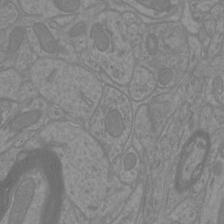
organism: Mouse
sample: Cortical neurons